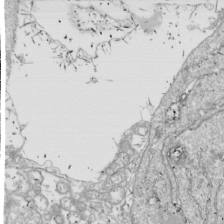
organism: Drosophila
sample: Cell division; meiosis; drosophila spermatocytes